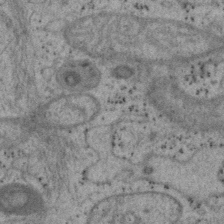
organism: Human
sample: HeLa cells